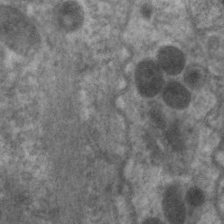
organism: C. elegans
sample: Pharynx